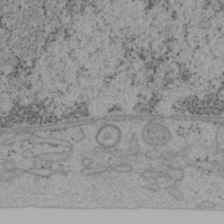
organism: Human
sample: HeLa cells